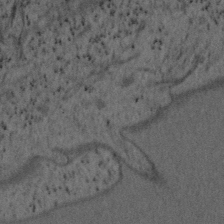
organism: Human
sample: HeLa cells